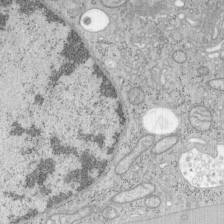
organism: Mouse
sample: OT-I killer T cells with ID8 ovarian cancer cells